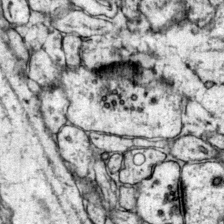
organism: Mouse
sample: Primary visual cortex